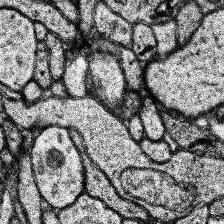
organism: Human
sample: Temporal Lobe